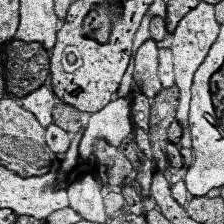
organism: Human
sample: Temporal Lobe